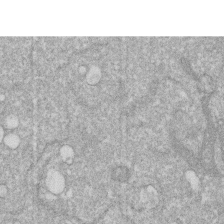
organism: Human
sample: HIV infected U937 cells